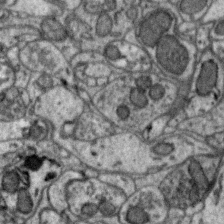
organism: Zebra finch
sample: Brain